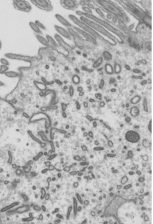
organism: Mouse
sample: Mouse epididymis efferent ductule cilia